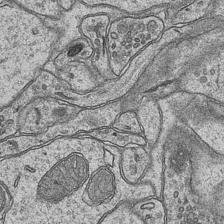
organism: Mouse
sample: CA1 Hippocampus